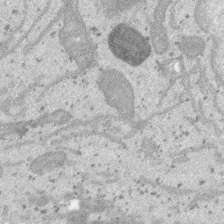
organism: Human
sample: Lung epithelial cells infected with SARS-CoV-2